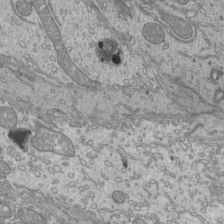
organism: Mouse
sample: Cilia; mouse epididymis